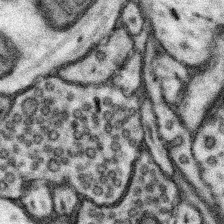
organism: Mouse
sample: Somatosensory cortex neuropil